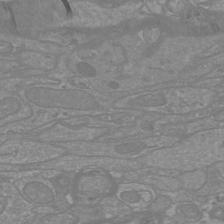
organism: Mouse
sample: Cortical neurons